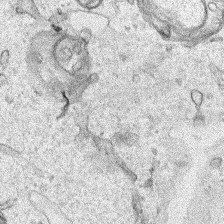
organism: Human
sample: Mitochondria in HCT116 cells